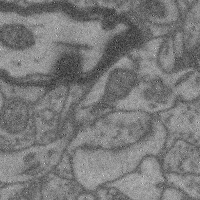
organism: Mouse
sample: Cerebral cortex